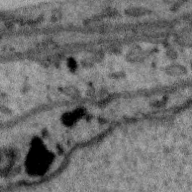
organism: Zebra finch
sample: Brain